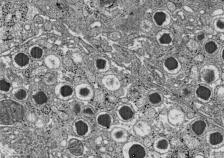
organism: C57BL Mouse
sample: Pancreatic islet